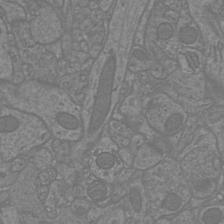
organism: Mouse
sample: Cortical neurons